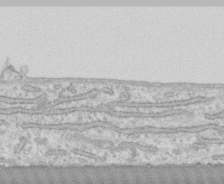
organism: Human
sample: CRL-1474